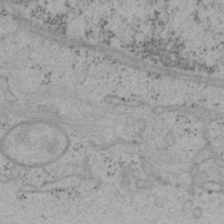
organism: Human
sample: HeLa cells